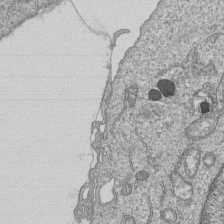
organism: Human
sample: MDA-MB-231 cells